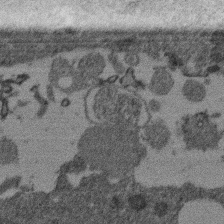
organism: Mouse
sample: Dividing mouse embryo 1 cell stage